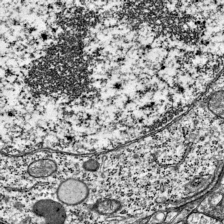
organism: Mouse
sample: Visual Cortex